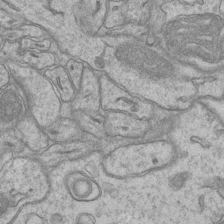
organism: Mouse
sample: CA1 Hippocampus